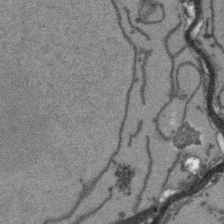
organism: Arabidopsis thaliana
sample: Root tip